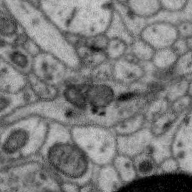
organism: Zebra finch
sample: Brain